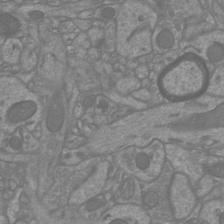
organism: Mouse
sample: Cortical neurons